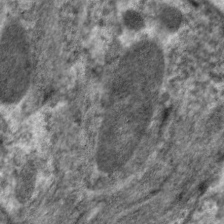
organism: C. elegans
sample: Pharynx